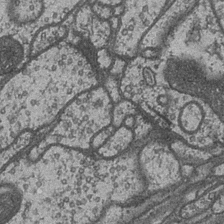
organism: Drosophila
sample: Optic medulla